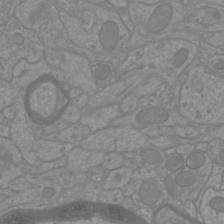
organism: Mouse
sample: Cortical neurons